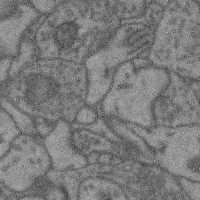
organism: Mouse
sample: Cerebral cortex